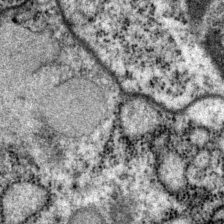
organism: P. pacificus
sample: Pharynx